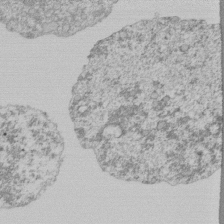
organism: Mouse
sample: Activated Pmel transgenic CD8+ T Cells